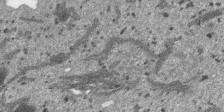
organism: Human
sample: Lung epithelial cells infected with SARS-CoV-2